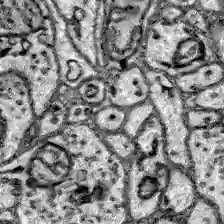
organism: Zebrafish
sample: Brain